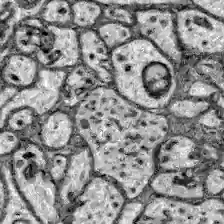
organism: Zebrafish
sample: Brain